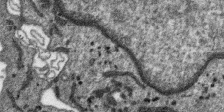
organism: Human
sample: Lung epithelial cells infected with SARS-CoV-2